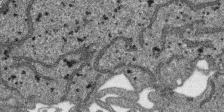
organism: Human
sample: Lung epithelial cells infected with SARS-CoV-2